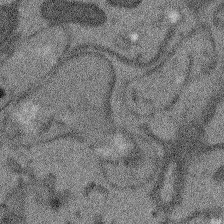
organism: Arabidopsis thaliana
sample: Root tip